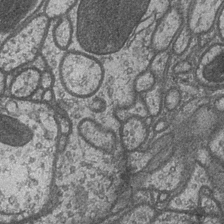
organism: Drosophila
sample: Optic medulla